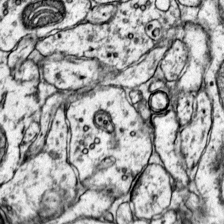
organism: Mouse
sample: Primary visual cortex